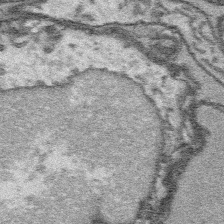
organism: Platynereis dumerilii